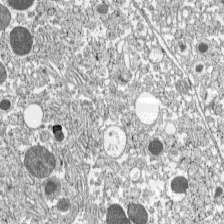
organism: C57BL Mouse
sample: Pancreatic islet